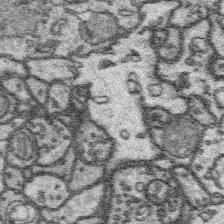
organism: Platynereis dumerilii